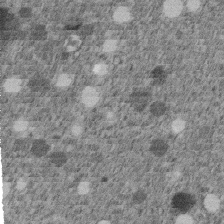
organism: C. elegans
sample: C. elegans embryo early stage